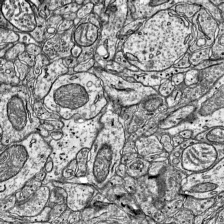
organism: Mouse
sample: Visual Cortex